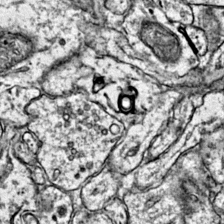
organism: Mouse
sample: Primary visual cortex